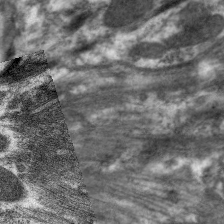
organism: C. elegans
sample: Pharynx